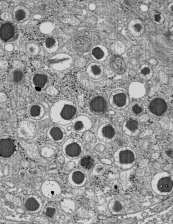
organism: C57BL Mouse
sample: Pancreatic islet